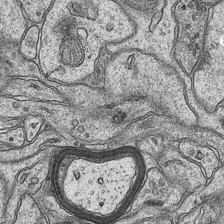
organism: Mouse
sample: CA1 Hippocampus